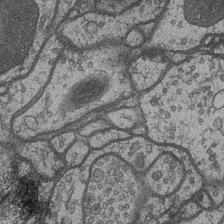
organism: Drosophila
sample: Optic medulla